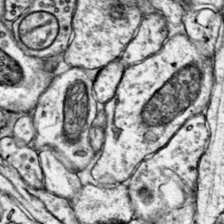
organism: Mouse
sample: Primary visual cortex